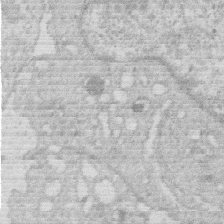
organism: Human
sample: Macrophage cells